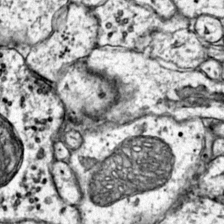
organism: Mouse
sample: Primary visual cortex